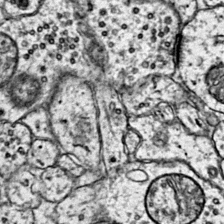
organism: Mouse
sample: Primary visual cortex